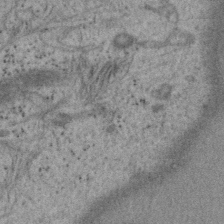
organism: Human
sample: HeLa cells